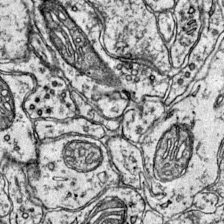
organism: Mouse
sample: Primary visual cortex